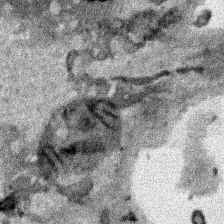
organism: Human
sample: Mitochondria in HCT116 cells